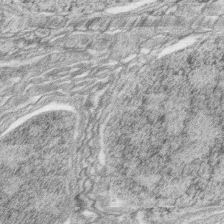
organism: Zebrafish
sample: synaptic ribbons in rod cells and cone cells